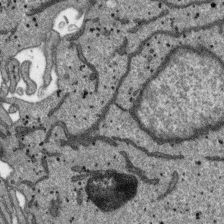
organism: Human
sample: Lung epithelial cells, uninfected (mock) control